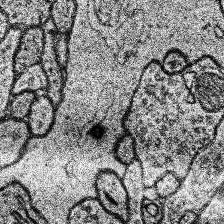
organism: Human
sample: Temporal Lobe